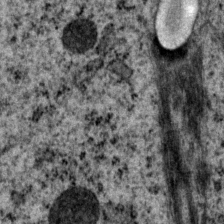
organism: P. pacificus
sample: Pharynx